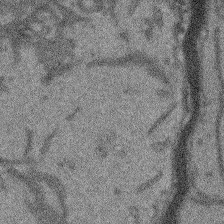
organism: Arabidopsis thaliana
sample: Root tip